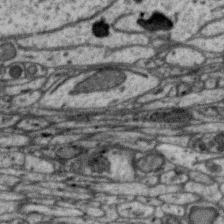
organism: Zebra finch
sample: Brain